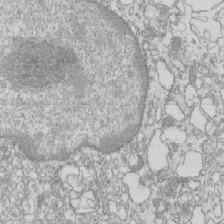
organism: Mouse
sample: Macrophages